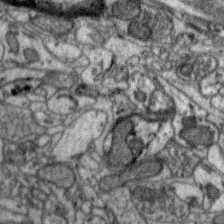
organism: Zebra finch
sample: Brain